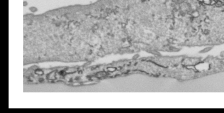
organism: Human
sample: Mitochondria in HCT116 cells